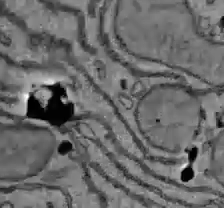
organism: C57BL Mouse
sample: Liver